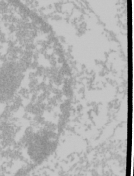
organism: Mouse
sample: Cancer cell death in ED-1 cells